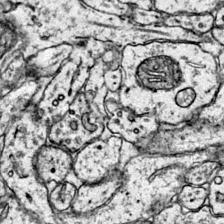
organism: Mouse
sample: Primary visual cortex